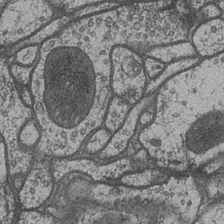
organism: Drosophila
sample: Optic medulla